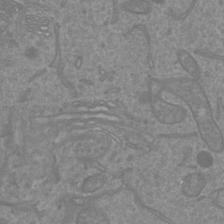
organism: Mouse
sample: Cortical neurons